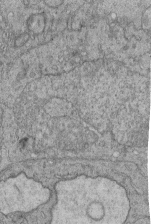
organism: Human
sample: Retinal organoid Rod and Cone cells